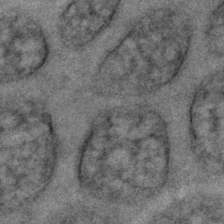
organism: C. elegans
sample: C. elegans embryo